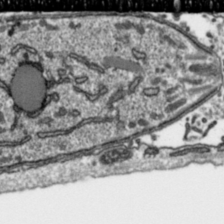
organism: Toxoplasma gondii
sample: Parasites in a vacuole inside a host cell